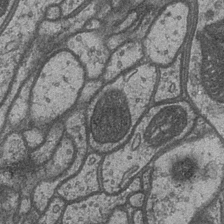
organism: Drosophila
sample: Optic medulla